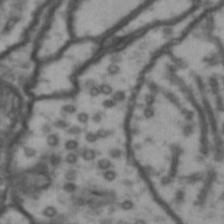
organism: Drosophila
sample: Brain